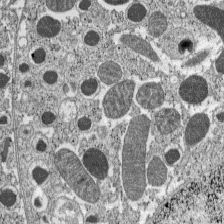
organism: C57BL Mouse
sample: Pancreatic islet